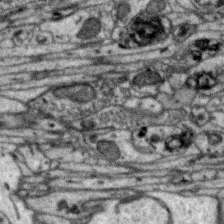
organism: Zebra finch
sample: Brain